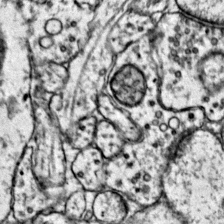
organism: Mouse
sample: Primary visual cortex